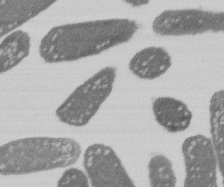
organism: E. coli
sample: Bacterial nucleoid